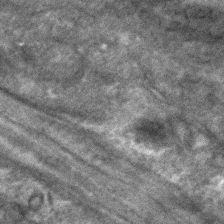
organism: C. elegans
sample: C. elegans embryo